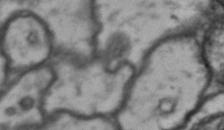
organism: Drosophila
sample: Brain